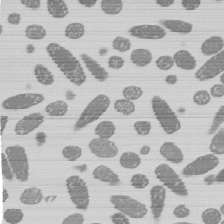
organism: E. coli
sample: Bacterial nucleoid